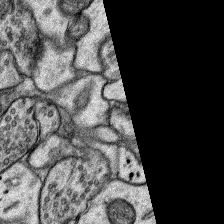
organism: Rat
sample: Hippocampus